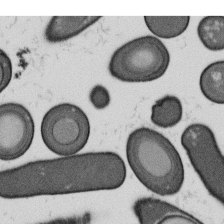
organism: B. subtilis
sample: Bacterial spore